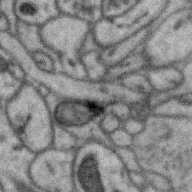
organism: Zebra finch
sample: Brain